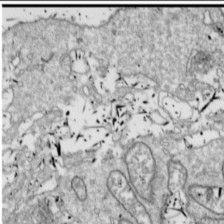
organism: Drosophila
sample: Cell division; meiosis; drosophila spermatocytes